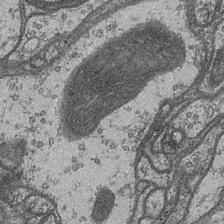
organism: Drosophila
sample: Optic medulla